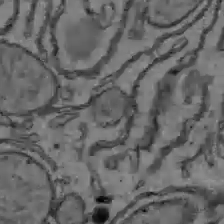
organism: C57BL Mouse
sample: Liver